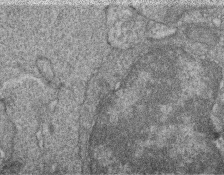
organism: Zebrafish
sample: Cilia; retinal pigment epithelium